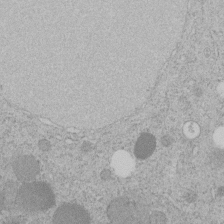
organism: C. elegans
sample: C. elegans embryo early stage